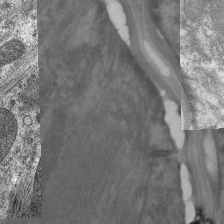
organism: C. elegans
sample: Pharynx